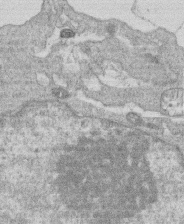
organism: Human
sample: Macrophage cells